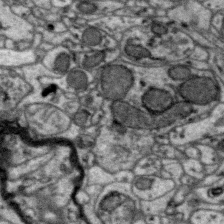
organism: Zebra finch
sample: Brain